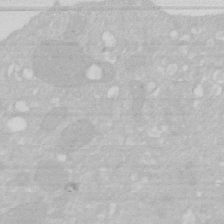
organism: Human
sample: HIV infected U937 cells